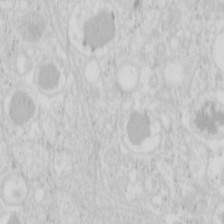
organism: Mouse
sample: Pancreas